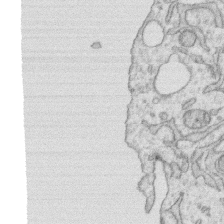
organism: Human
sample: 1205lu cells